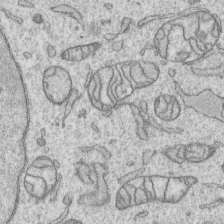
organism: Human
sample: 1205lu cells